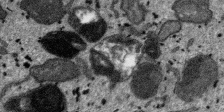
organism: Human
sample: Lung epithelial cells, uninfected (mock) control